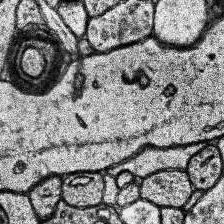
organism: Human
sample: Temporal Lobe